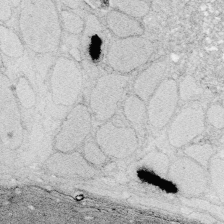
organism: Zebrafish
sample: Whole-Brain